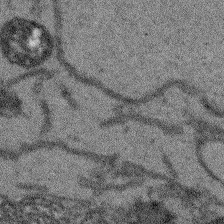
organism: Arabidopsis thaliana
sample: Root tip